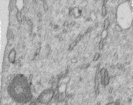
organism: Human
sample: Centriole in RPE cells